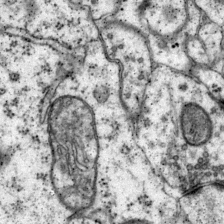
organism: Mouse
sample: Primary visual cortex